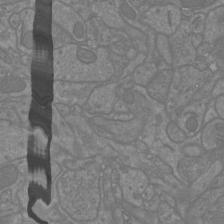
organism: Mouse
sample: Cortical neurons